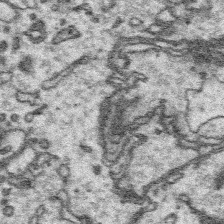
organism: Platynereis dumerilii